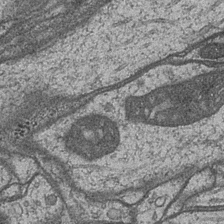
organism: Drosophila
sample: Optic medulla